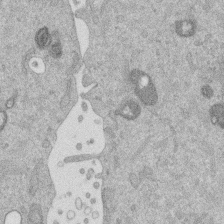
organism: Mouse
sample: Dividing mouse embryo 1 cell stage